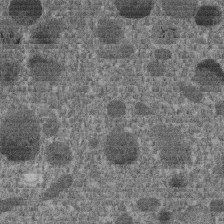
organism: C. elegans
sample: C. elegans embryo early stage